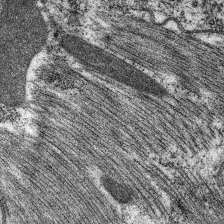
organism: C. elegans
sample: Pharynx